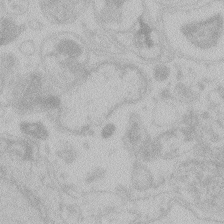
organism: Zebrafish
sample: Macrophage infected with Toxoplasma gondii